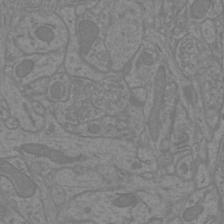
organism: Mouse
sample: Cortical neurons